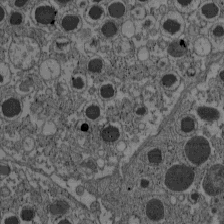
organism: C57BL Mouse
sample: Pancreatic islet